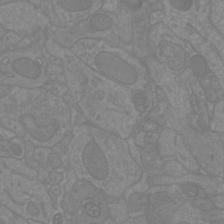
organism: Mouse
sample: Cortical neurons